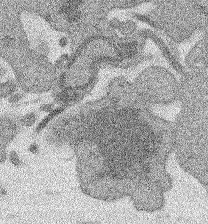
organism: Human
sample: HeLa cells